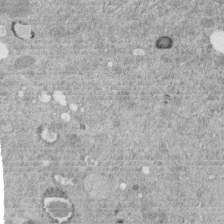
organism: C. elegans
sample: C. elegans embryo early stage